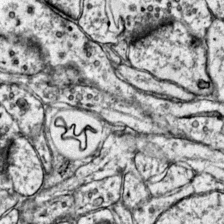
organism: Mouse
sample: Primary visual cortex